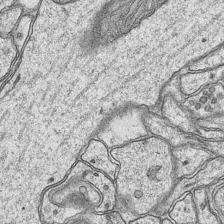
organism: Mouse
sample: CA1 Hippocampus